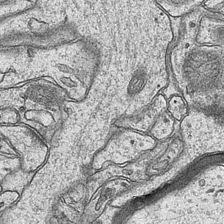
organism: Mouse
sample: CA1 Hippocampus